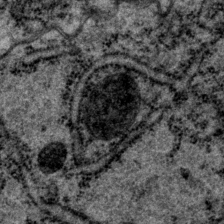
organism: P. pacificus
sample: Pharynx